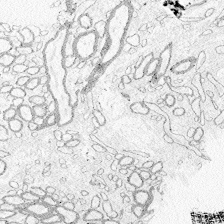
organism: Zebrafish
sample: Whole-Brain